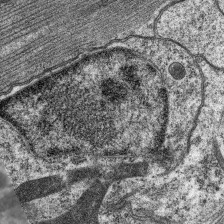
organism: C. elegans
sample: Pharynx